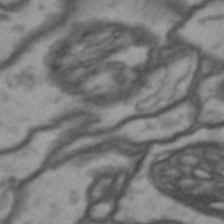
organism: Drosophila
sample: Brain